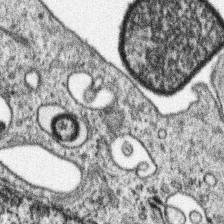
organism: Human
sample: HeLa cells